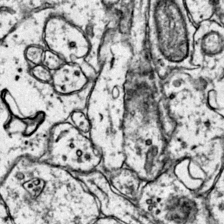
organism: Mouse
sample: Primary visual cortex